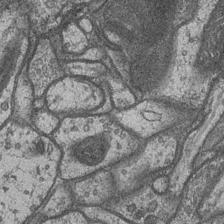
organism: Drosophila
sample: Optic medulla